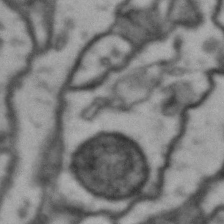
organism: Drosophila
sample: Brain